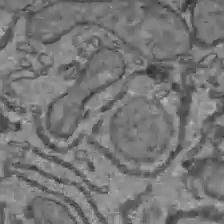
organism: C57BL Mouse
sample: Liver